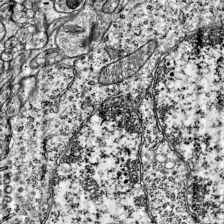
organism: Mouse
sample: Visual Cortex